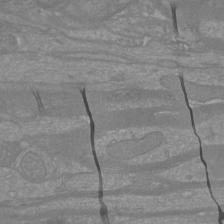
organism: Mouse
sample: Cortical neurons